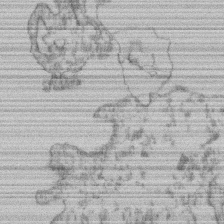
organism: Mouse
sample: T cell stromal cell synapse